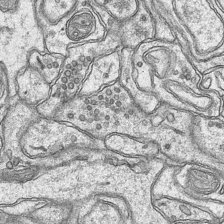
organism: Mouse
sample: CA1 Hippocampus